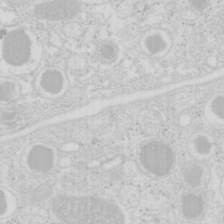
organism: Mouse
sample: Pancreas